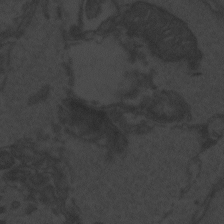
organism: Zebrafish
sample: Macrophage infected with Toxoplasma gondii